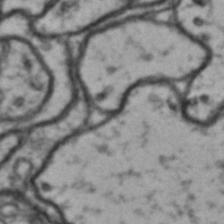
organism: Drosophila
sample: Brain